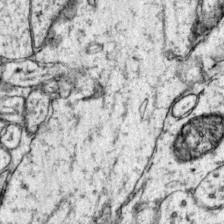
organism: Mouse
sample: Primary visual cortex